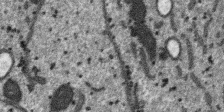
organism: Human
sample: Lung epithelial cells infected with SARS-CoV-2